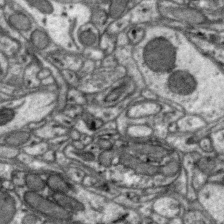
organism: Zebra finch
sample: Brain